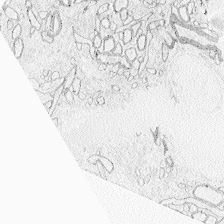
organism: Zebrafish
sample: Whole-Brain